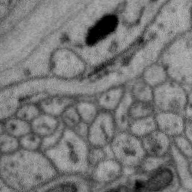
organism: Zebra finch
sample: Brain